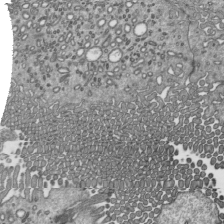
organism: Mouse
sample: Mouse epididymis efferent ductule cilia